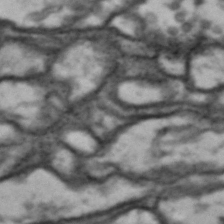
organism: Drosophila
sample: Brain